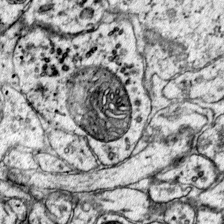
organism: Mouse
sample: Primary visual cortex